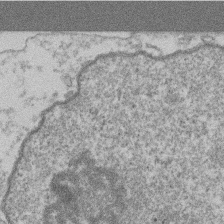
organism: Mouse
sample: T cell stromal cell synapse